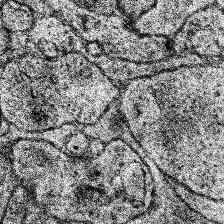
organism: Human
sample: Temporal Lobe